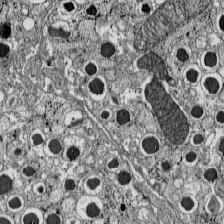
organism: C57BL Mouse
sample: Pancreatic islet